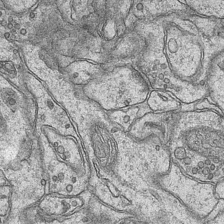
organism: Mouse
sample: CA1 Hippocampus